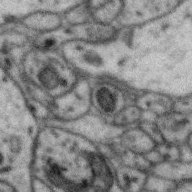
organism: Zebra finch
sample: Brain